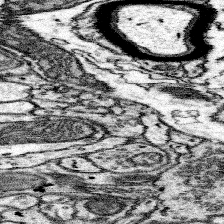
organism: Mouse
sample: Somatosensory cortex neuropil